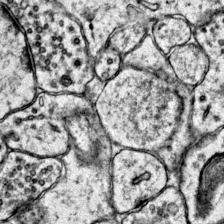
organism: Mouse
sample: Primary visual cortex